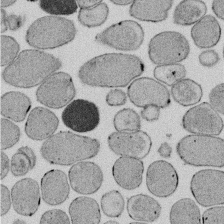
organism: E. coli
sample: Bacterial nucleoid